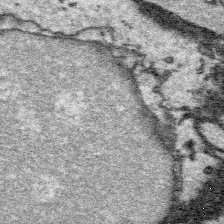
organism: Platynereis dumerilii